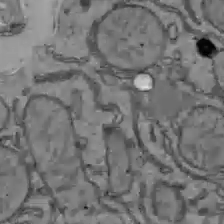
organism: C57BL Mouse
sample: Liver